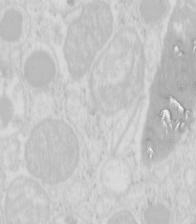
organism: Mouse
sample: Pancreas